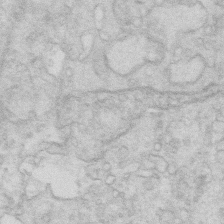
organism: Mouse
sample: Multiciliated cells